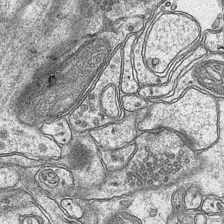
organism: Mouse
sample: CA1 Hippocampus